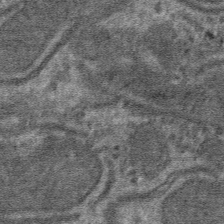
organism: Mouse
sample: Mouse hepatocytes